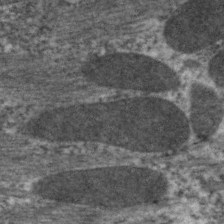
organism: C. elegans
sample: Pharynx